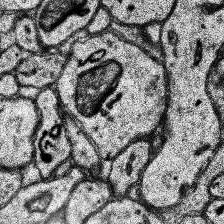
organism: Human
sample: Temporal Lobe